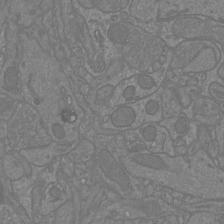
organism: Mouse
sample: Cortical neurons